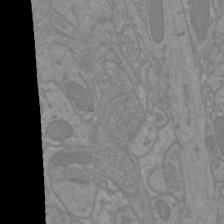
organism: Mouse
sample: Cortical neurons